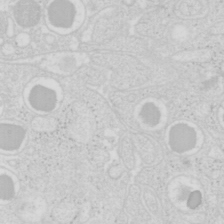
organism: Mouse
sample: Pancreas